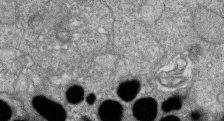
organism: Zebrafish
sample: Cilia; retinal pigment epithelium